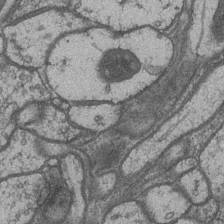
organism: Drosophila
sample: Optic medulla